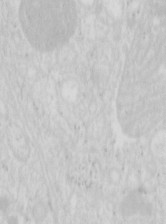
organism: Mouse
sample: Pancreas